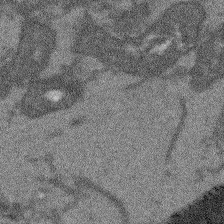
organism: Arabidopsis thaliana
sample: Root tip